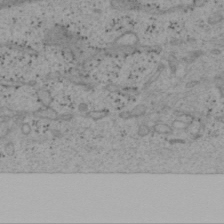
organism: Human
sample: HeLa cells